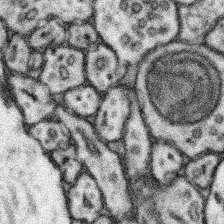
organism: Mouse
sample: Somatosensory cortex neuropil